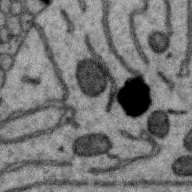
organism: Zebra finch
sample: Brain